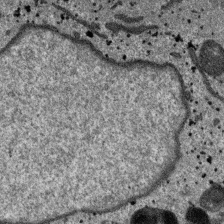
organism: Human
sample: Lung epithelial cells, uninfected (mock) control